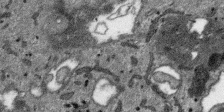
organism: Human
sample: Lung epithelial cells, uninfected (mock) control